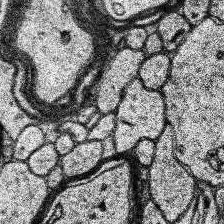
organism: Human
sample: Temporal Lobe